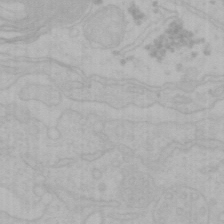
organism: Mouse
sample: Choroid plexus